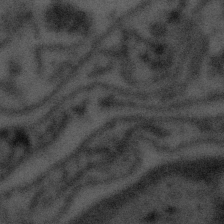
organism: Tuwongella immobilis